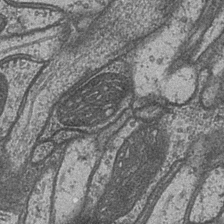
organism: Drosophila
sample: Optic medulla